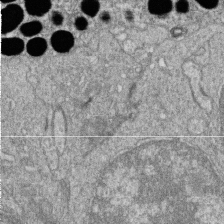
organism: Zebrafish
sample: Cilia; retinal pigment epithelium